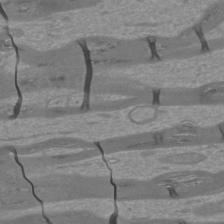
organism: Mouse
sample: Cortical neurons